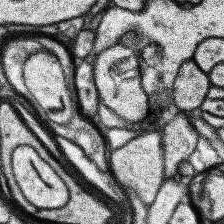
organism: Human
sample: Temporal Lobe